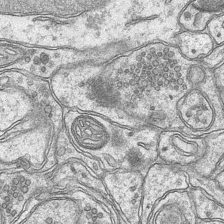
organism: Mouse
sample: CA1 Hippocampus